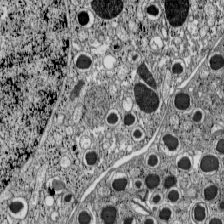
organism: C57BL Mouse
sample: Pancreatic islet